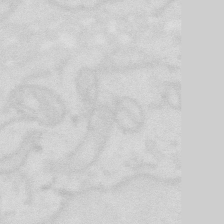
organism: Human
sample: HeLa cells